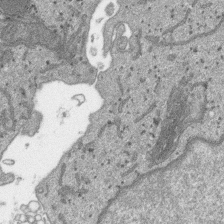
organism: Human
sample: Lung epithelial cells infected with SARS-CoV-2